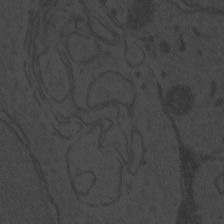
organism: Zebrafish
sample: Macrophage infected with Toxoplasma gondii